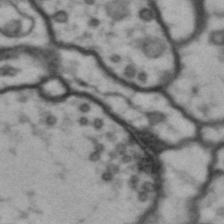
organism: Drosophila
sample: Brain